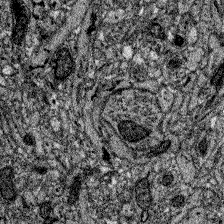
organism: Zebrafish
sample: Larval olfactory bulb